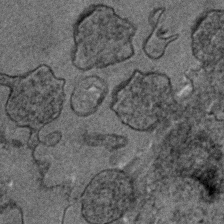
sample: Trachea